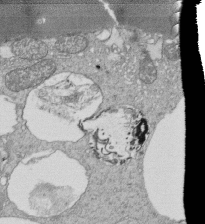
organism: Tetrahymena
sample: Cilia in tetrahymena